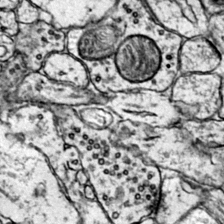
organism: Mouse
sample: Primary visual cortex